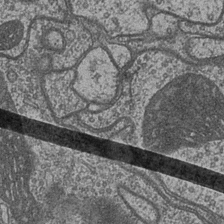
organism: Drosophila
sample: Optic medulla